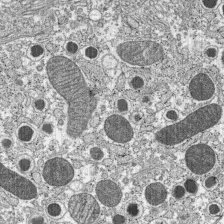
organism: C57BL Mouse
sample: Pancreatic islet